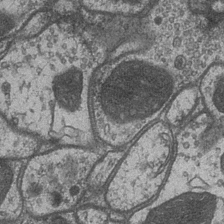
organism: Drosophila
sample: Optic medulla